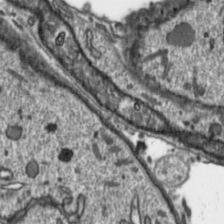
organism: Toxoplasma gondii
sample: Parasites in a vacuole inside a host cell